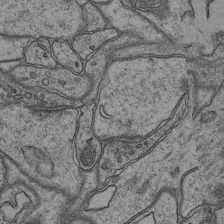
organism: Mouse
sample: CA1 Hippocampus